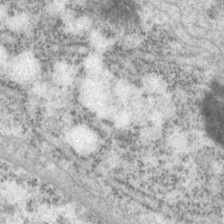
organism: P. pacificus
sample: Pharynx